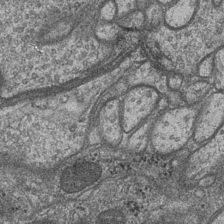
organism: Drosophila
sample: Optic medulla